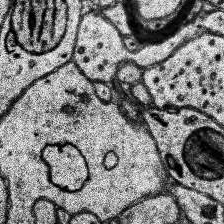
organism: Human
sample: Temporal Lobe